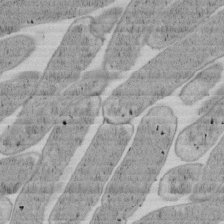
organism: E. coli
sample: Bacterial nucleoid